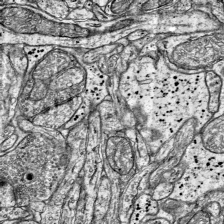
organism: Mouse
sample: Visual Cortex